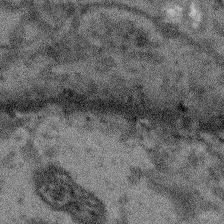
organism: Arabidopsis thaliana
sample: Root tip